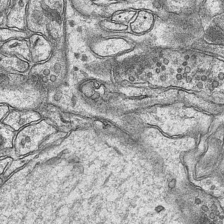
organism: Mouse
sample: CA1 Hippocampus